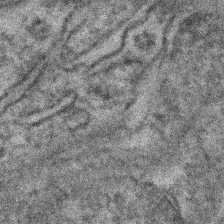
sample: Kidney